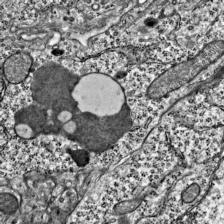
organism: Mouse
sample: Visual Cortex